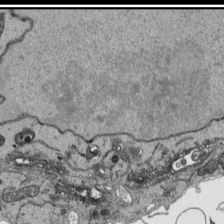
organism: Human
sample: Mitochondria in HCT116 cells